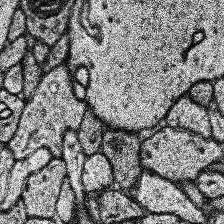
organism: Human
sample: Temporal Lobe